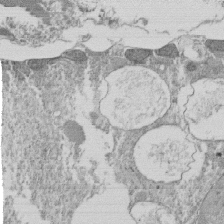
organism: Tetrahymena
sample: Cilia in tetrahymena